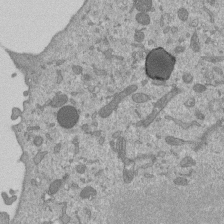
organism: Mouse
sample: ED-1 cell nuclei; centrioles